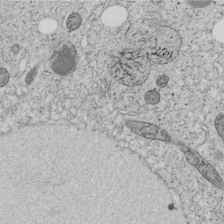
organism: C. elegans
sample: C. elegans embryo early stage